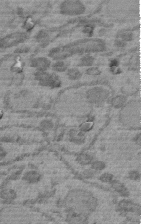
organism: C. elegans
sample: C. elegans embryo early stage